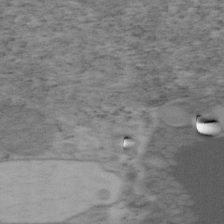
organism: Mouse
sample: OT-I killer T cells with ID8 ovarian cancer cells